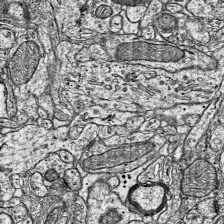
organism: Mouse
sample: Visual Cortex